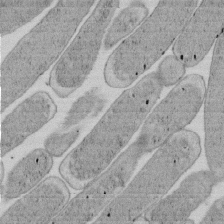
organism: E. coli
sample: Bacterial nucleoid